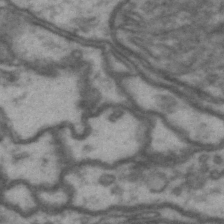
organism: Drosophila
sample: Brain